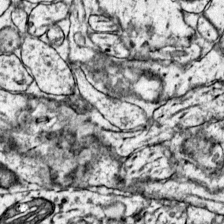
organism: Mouse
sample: Primary visual cortex